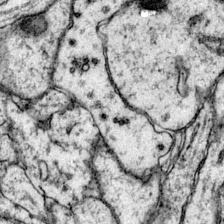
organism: Mouse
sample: Primary visual cortex